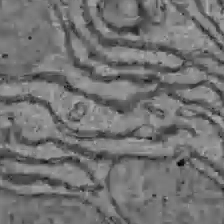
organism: C57BL Mouse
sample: Liver